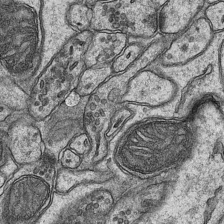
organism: Mouse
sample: CA1 Hippocampus